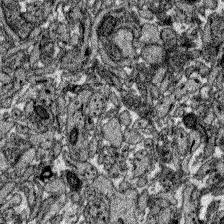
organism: Zebrafish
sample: Larval olfactory bulb